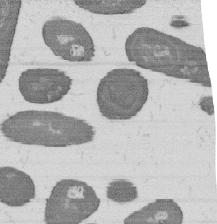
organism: B. subtilis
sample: Bacterial spore